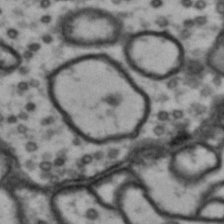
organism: Drosophila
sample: Brain